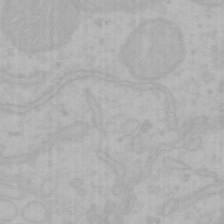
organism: Mouse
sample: Choroid plexus